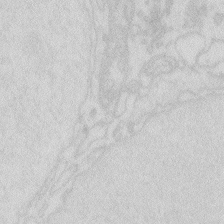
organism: Zebrafish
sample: Macrophage